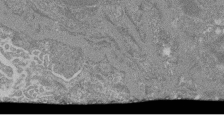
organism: Mouse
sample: Glomerulus